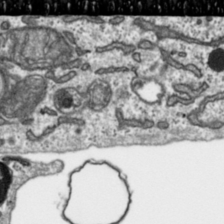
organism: Toxoplasma gondii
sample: Parasites in a vacuole inside a host cell